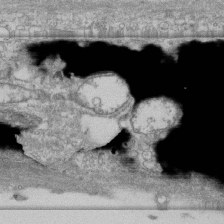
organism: Human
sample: Fibroblast cells